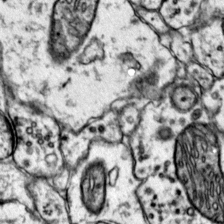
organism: Mouse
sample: Primary visual cortex